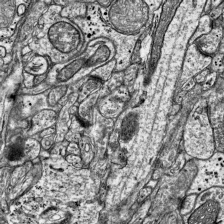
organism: Mouse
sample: Visual Cortex